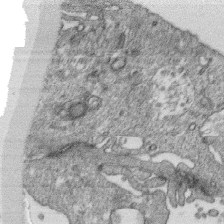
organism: African green monkey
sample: Vero E6 cells infected with SARS-CoV-2